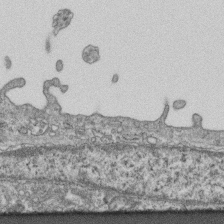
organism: Mouse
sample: Centriole in ependymal cells